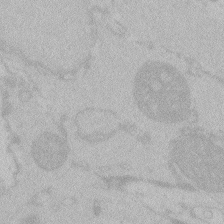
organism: Zebrafish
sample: Macrophage infected with Toxoplasma gondii